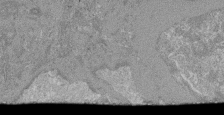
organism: Mouse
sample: Glomerulus